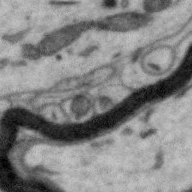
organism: Zebra finch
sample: Brain